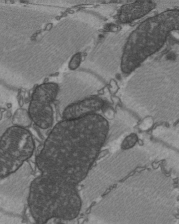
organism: C57BL Mouse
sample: Heart